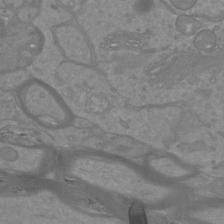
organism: Mouse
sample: Cortical neurons